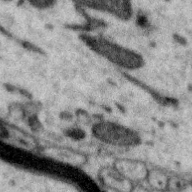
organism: Zebra finch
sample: Brain